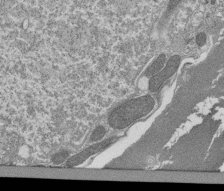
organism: Tetrahymena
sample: Cilia in tetrahymena